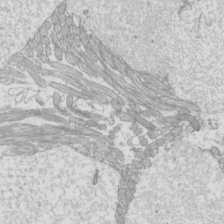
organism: Mouse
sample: Cilia; mouse epididymis